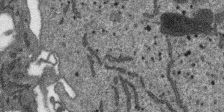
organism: Human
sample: Lung epithelial cells infected with SARS-CoV-2